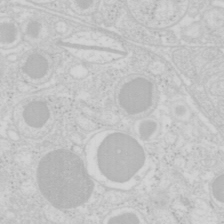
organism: Mouse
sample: Pancreas